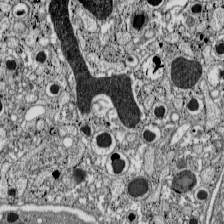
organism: C57BL Mouse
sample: Pancreatic islet